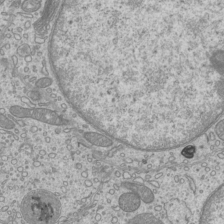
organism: Mouse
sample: Cilia; mouse epididymis